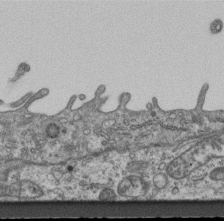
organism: Mouse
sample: Centriole in ependymal cells